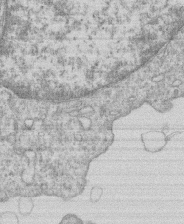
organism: Human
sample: Macrophage cells